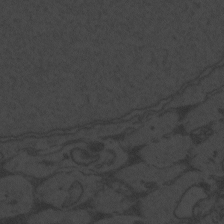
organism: Zebrafish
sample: Macrophage infected with Toxoplasma gondii